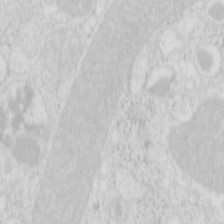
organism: Mouse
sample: Pancreas